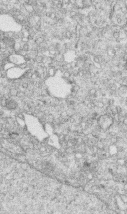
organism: Human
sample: HeLa cell HIV synapse